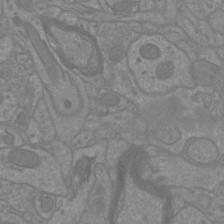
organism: Mouse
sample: Cortical neurons